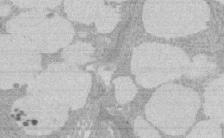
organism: Rat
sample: Salivary granule